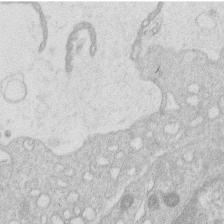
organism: Human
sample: Macrophage cells